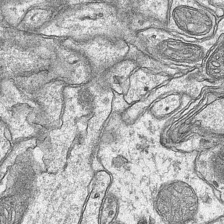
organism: Mouse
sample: CA1 Hippocampus